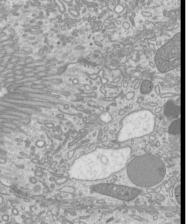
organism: Mouse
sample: Cilia; mouse epididymis